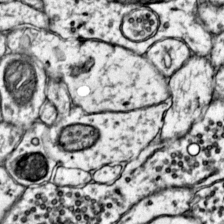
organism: Mouse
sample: Primary visual cortex